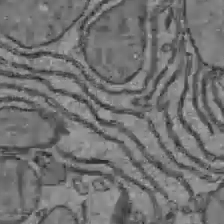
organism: C57BL Mouse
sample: Liver